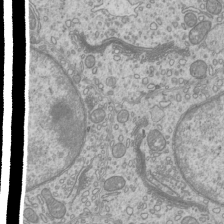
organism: Mouse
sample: Cilia; mouse epididymis